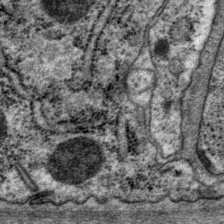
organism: P. pacificus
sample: Pharynx